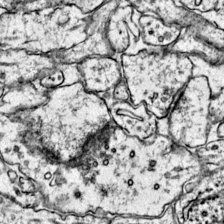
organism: Mouse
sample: Primary visual cortex